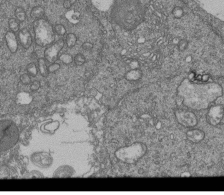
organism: Human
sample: Retinal organoid Rod and Cone cells